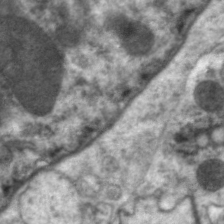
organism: C. elegans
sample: Pharynx